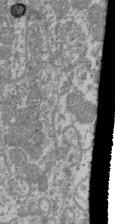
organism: Mouse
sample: Glomerulus